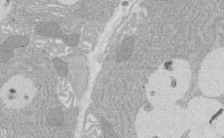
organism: Rat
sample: Salivary granule